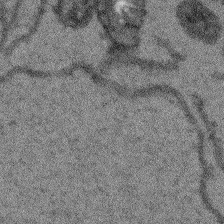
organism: Arabidopsis thaliana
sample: Root tip